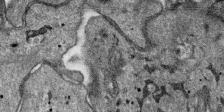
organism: Human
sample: Lung epithelial cells, uninfected (mock) control